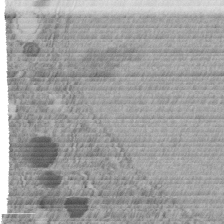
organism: C. elegans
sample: C. elegans embryo early stage